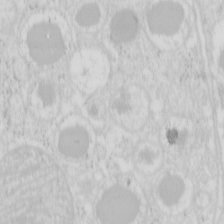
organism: Mouse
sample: Pancreas